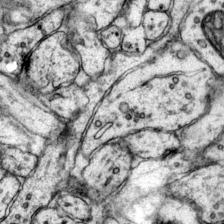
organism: Mouse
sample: Primary visual cortex